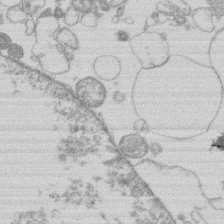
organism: Human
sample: Macrophage cells